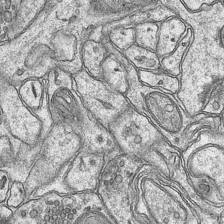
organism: Mouse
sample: CA1 Hippocampus